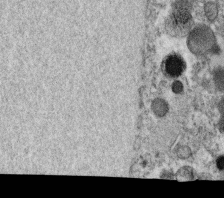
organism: C. elegans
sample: C. elegans oocyte; sperm cells